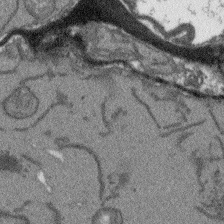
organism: Arabidopsis thaliana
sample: Root tip